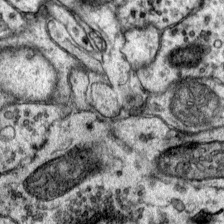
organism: Mouse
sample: Primary visual cortex